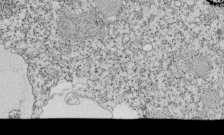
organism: Tetrahymena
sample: Cilia in tetrahymena